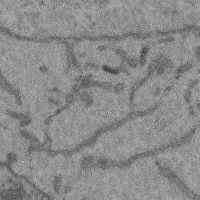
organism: Mouse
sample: Cerebral cortex